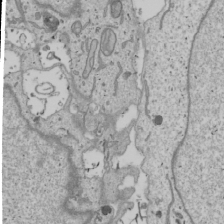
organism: Human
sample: Mitochondria in U2OS cells